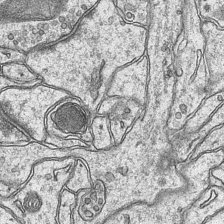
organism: Mouse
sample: CA1 Hippocampus